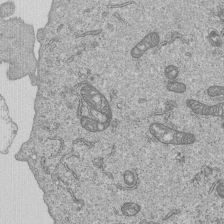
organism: Human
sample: MDA-MB-231 cells